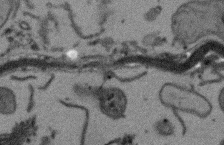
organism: Arabidopsis thaliana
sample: Root tip